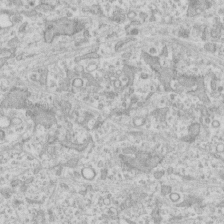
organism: Human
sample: CRL-1474